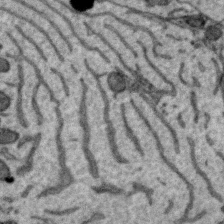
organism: Zebra finch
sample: Brain